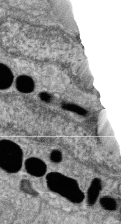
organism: Zebrafish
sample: Cilia; retinal pigment epithelium